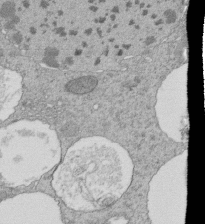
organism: Tetrahymena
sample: Cilia in tetrahymena